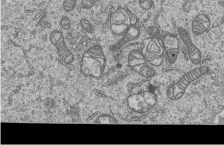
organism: Human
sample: MDA-MB-231 cells